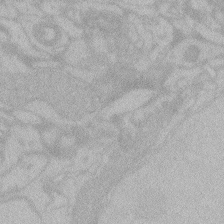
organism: Zebrafish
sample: Macrophage infected with Toxoplasma gondii